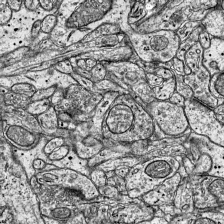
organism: Mouse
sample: Visual Cortex